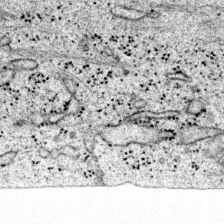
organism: Human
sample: HeLa cells